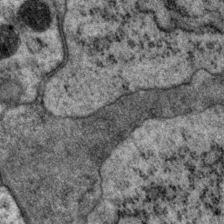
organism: P. pacificus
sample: Pharynx